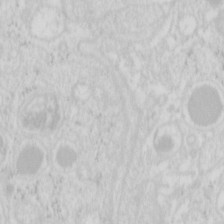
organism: Mouse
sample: Pancreas